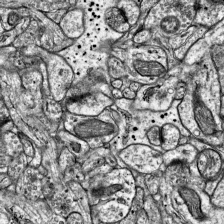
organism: Mouse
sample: Visual Cortex